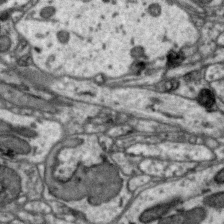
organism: Zebra finch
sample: Brain